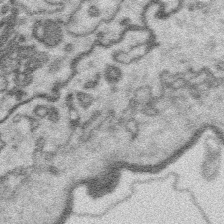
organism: Platynereis dumerilii